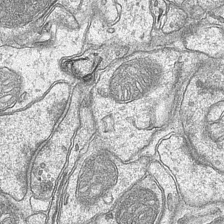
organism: Mouse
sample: CA1 Hippocampus